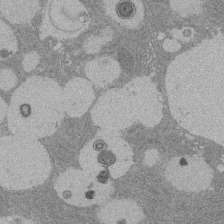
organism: Rat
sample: Salivary granule